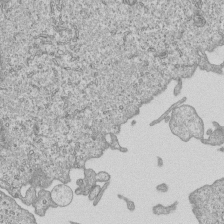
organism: Human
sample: MDA-MB-231 cells